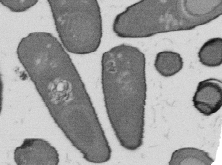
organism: B. subtilis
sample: Bacterial spore